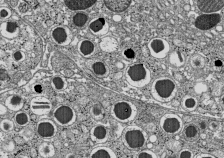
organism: C57BL Mouse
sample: Pancreatic islet